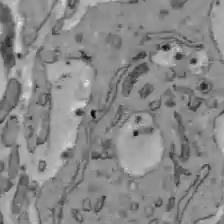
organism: C57BL Mouse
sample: Liver